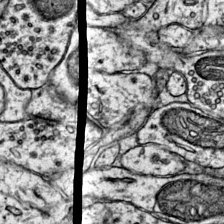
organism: Mouse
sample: Primary visual cortex